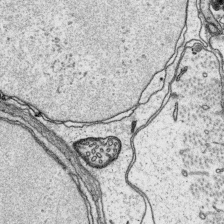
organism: Platynereis dumerilii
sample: Parapodia